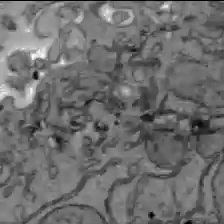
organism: C57BL Mouse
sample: Liver